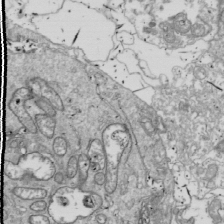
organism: Drosophila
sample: Cell division; meiosis; drosophila spermatocytes